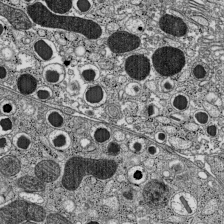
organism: C57BL Mouse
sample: Pancreatic islet